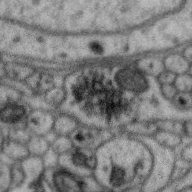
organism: Zebra finch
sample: Brain